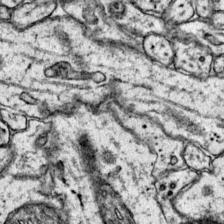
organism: Mouse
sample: Primary visual cortex